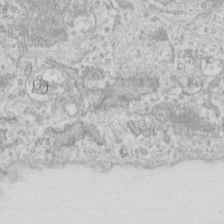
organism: Human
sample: Fibroblast cells